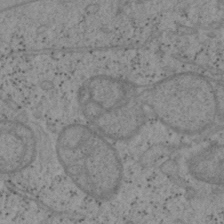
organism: Human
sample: HeLa cells